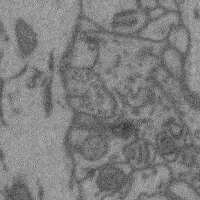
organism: Mouse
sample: Cerebral cortex